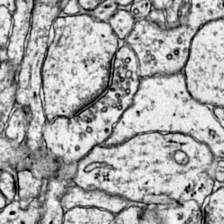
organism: Mouse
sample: Primary visual cortex